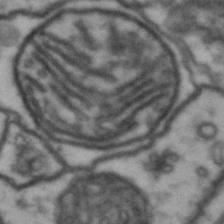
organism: Drosophila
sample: Brain